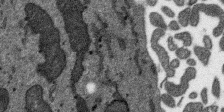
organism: Human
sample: Lung epithelial cells infected with SARS-CoV-2